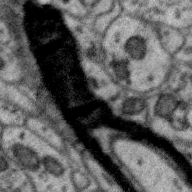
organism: Zebra finch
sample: Brain